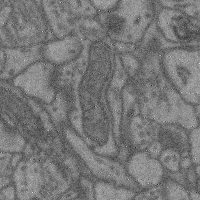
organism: Mouse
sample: Cerebral cortex